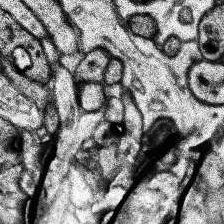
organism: Human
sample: Temporal Lobe